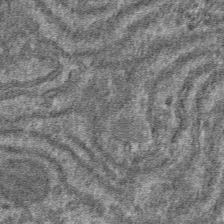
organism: Mouse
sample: Mouse hepatocytes